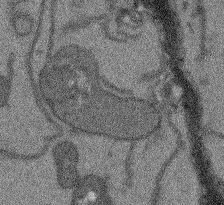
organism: Arabidopsis thaliana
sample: Root tip